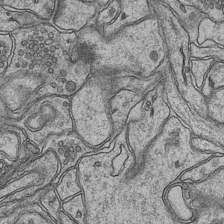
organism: Mouse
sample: CA1 Hippocampus